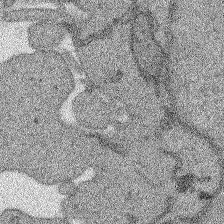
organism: Human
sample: HeLa cells